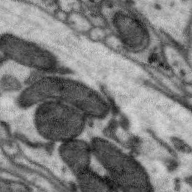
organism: Zebra finch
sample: Brain